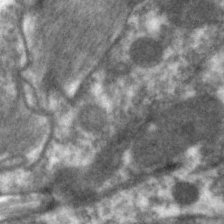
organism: C. elegans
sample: Pharynx